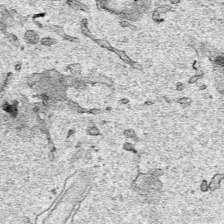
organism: Human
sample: Mitochondria in HCT116 cells